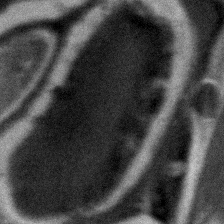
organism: Zebrafish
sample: Zebrafish embryo